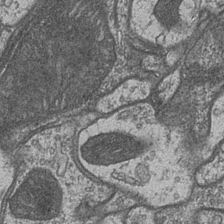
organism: Drosophila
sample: Optic medulla